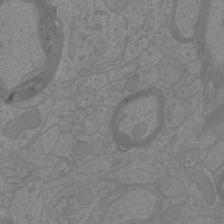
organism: Mouse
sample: Cortical neurons